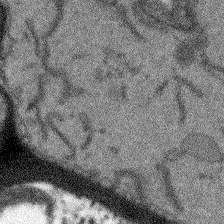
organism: Arabidopsis thaliana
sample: Root tip